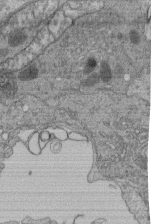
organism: Human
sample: Retinal organoid Rod and Cone cells